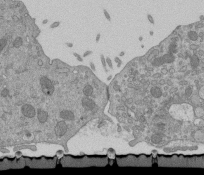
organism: Mouse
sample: ED-1 cell nuclei; centrioles